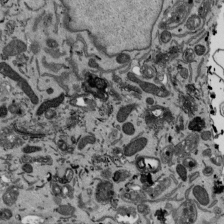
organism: Mouse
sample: ED-1 cell nuclei; centrioles